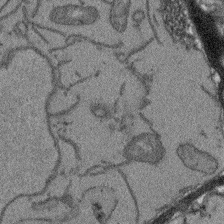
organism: Arabidopsis thaliana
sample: Root tip